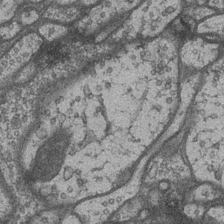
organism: Drosophila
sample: Optic medulla